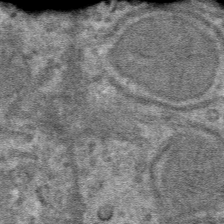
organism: Mouse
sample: Mouse hepatocytes